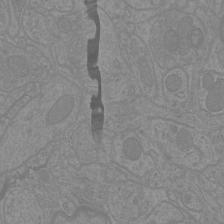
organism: Mouse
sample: Cortical neurons